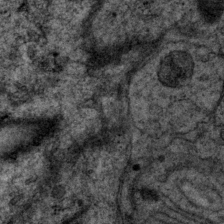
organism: P. pacificus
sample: Pharynx